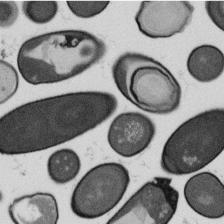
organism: B. subtilis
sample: Bacterial spore